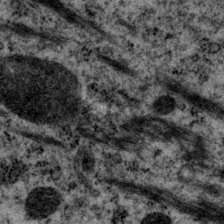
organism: P. pacificus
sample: Pharynx